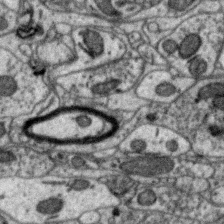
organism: Zebra finch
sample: Brain